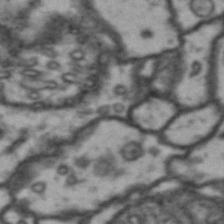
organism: Drosophila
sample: Brain